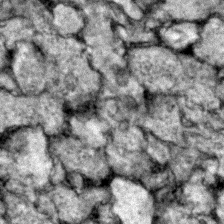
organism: Zebrafish